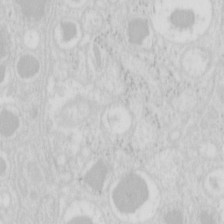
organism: Mouse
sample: Pancreas